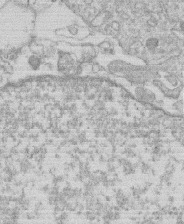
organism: Human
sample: Macrophage cells